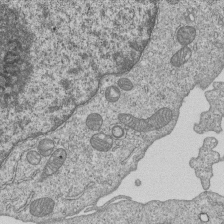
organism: Human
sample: MDA-MB-231 cells